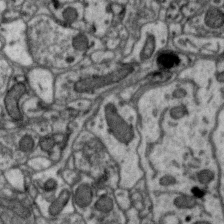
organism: Zebra finch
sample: Brain